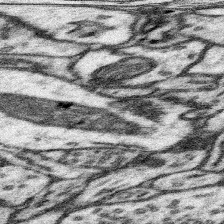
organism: Mouse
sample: Somatosensory cortex neuropil